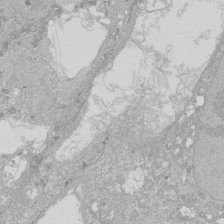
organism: Human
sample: Caco-2 cells